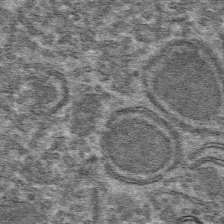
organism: Mouse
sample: Mouse hepatocytes